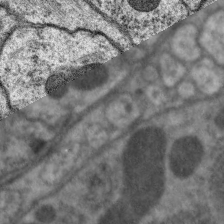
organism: C. elegans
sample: Pharynx